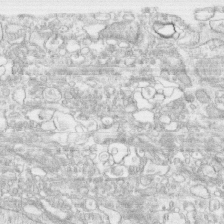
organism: Human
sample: CRL-1474